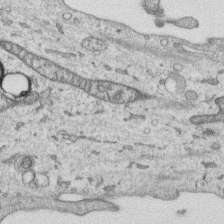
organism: Human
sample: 1205lu cells